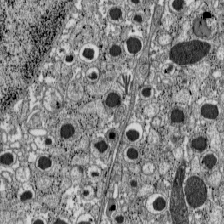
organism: C57BL Mouse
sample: Pancreatic islet